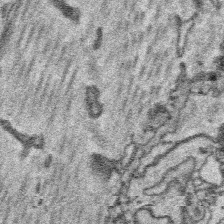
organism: Platynereis dumerilii